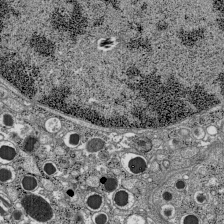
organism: C57BL Mouse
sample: Pancreatic islet